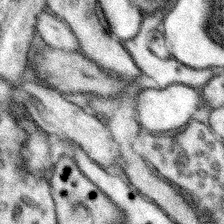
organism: Mouse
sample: Somatosensory cortex neuropil